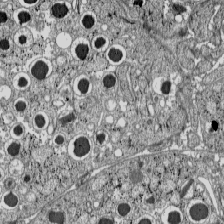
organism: C57BL Mouse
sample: Pancreatic islet